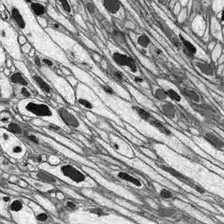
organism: Drosophila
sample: Optic lobe